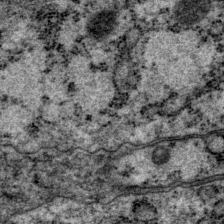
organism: P. pacificus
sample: Pharynx